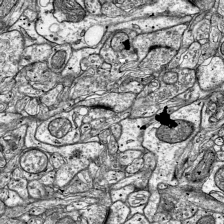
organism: Mouse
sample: Visual Cortex